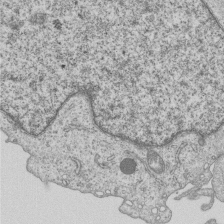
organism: Human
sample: MDA-MB-231 cells